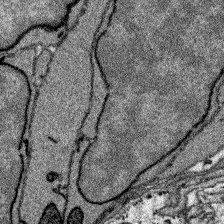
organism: Zebrafish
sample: Larval olfactory bulb